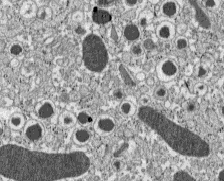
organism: C57BL Mouse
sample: Pancreatic islet